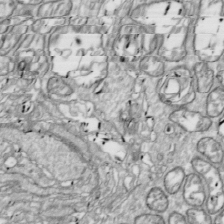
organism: Drosophila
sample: Cell division; meiosis; drosophila spermatocytes